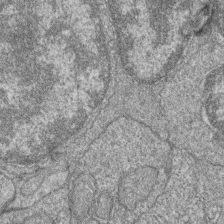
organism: Zebrafish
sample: Cilia; retinal pigment epithelium